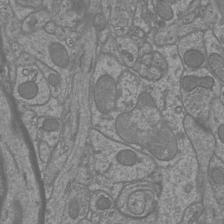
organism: Mouse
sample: Cortical neurons